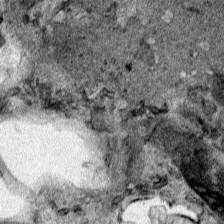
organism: Human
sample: Mitochondria in HCT116 cells